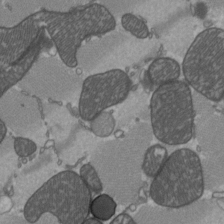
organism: C57BL Mouse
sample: Heart